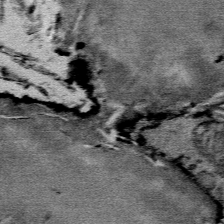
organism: Mouse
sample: Mouse Salivary gland